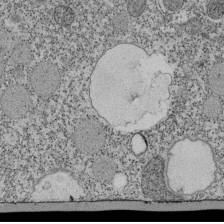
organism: Tetrahymena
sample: Cilia in tetrahymena